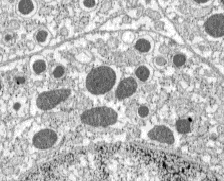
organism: C57BL Mouse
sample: Pancreatic islet